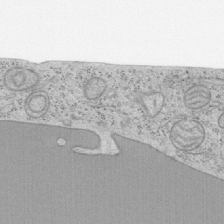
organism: Human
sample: HeLa cells